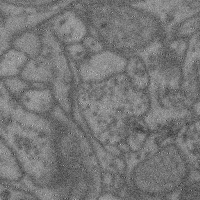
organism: Mouse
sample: Cerebral cortex